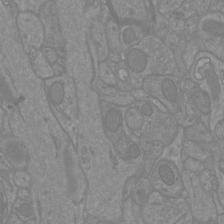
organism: Mouse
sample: Cortical neurons